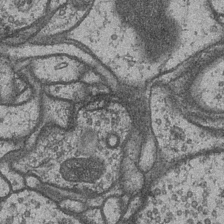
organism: Drosophila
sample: Optic medulla